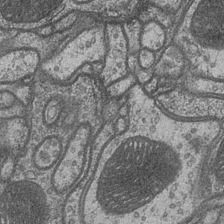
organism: Drosophila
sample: Optic medulla